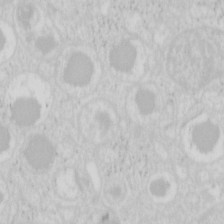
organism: Mouse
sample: Pancreas